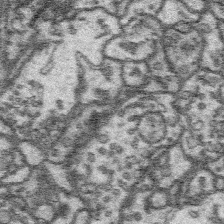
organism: Platynereis dumerilii